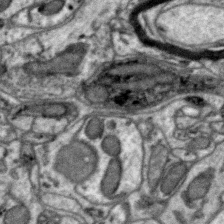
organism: Zebra finch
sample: Brain